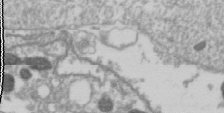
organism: Drosophila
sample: Cell division; meiosis; drosophila spermatocytes